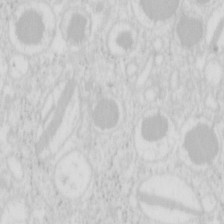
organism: Mouse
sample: Pancreas